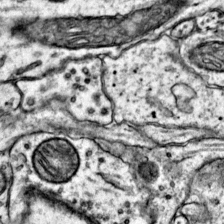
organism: Mouse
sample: Primary visual cortex